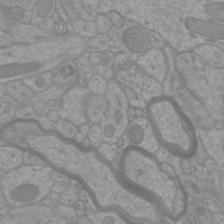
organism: Mouse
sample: Cortical neurons